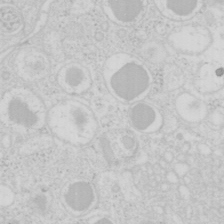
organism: Mouse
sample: Pancreas